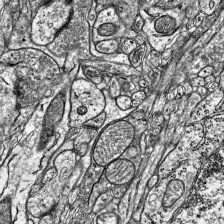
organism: Mouse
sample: Visual Cortex